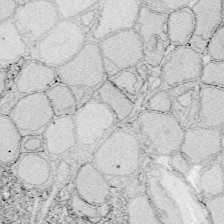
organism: Zebrafish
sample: Whole-Brain